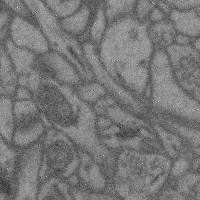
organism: Mouse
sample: Cerebral cortex